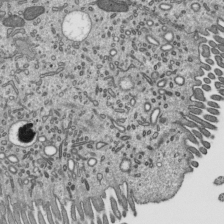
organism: Mouse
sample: Mouse epididymis efferent ductule cilia